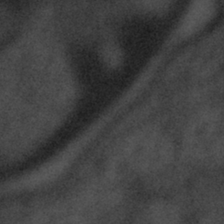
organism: Tuwongella immobilis